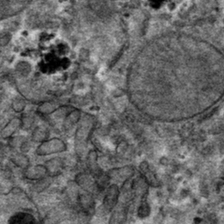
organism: Mouse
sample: Mouse hepatocytes